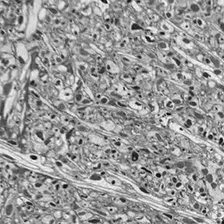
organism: Drosophila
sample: Optic lobe